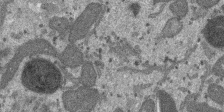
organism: Human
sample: Lung epithelial cells infected with SARS-CoV-2